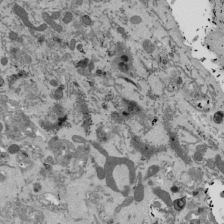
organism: Mouse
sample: ED-1 cell nuclei; centrioles